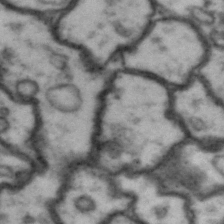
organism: Drosophila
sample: Brain